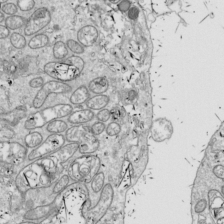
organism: Drosophila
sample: Cell division; meiosis; drosophila spermatocytes